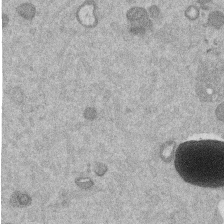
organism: Mouse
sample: Dividing mouse embryo 1 cell stage